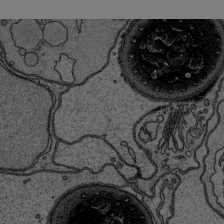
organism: Platynereis dumerilii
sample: Parapodia